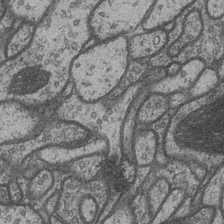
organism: Drosophila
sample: Optic medulla